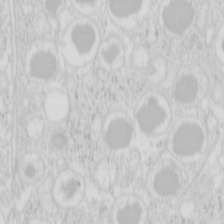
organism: Mouse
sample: Pancreas